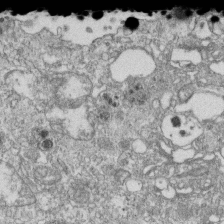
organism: Human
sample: HeLa cell HIV synapse